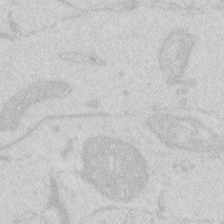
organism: Zebrafish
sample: Macrophage